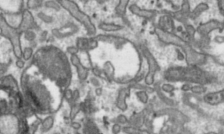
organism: Toxoplasma gondii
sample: Parasites in a vacuole inside a host cell